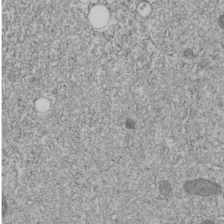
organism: C. elegans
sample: C. elegans embryo early stage